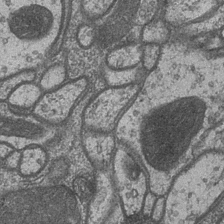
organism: Drosophila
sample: Optic medulla